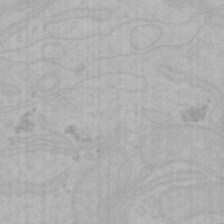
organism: Mouse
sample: Choroid plexus